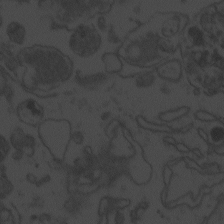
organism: Zebrafish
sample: Macrophage infected with Toxoplasma gondii